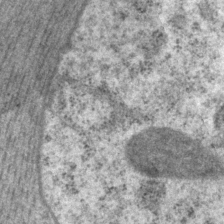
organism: P. pacificus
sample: Pharynx